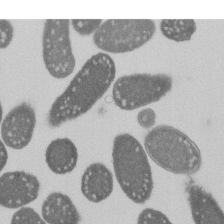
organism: E. coli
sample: Bacterial nucleoid